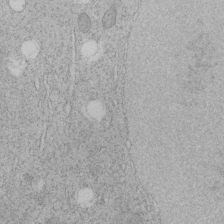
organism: C. elegans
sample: C. elegans embryo early stage